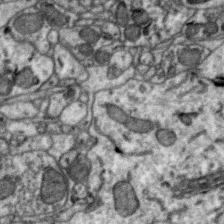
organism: Zebra finch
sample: Brain